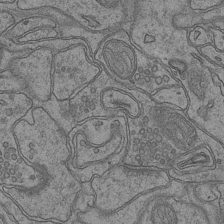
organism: Mouse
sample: CA1 Hippocampus